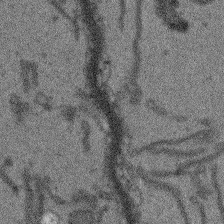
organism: Arabidopsis thaliana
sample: Root tip